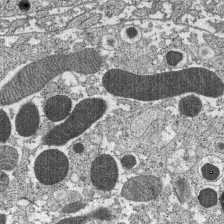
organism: C57BL Mouse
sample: Pancreatic islet